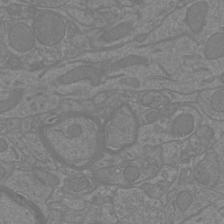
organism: Mouse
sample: Cortical neurons